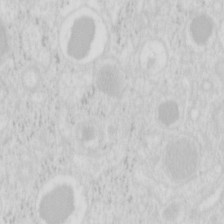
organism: Mouse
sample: Pancreas